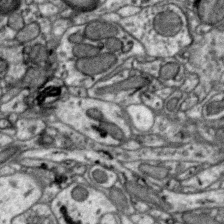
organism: Zebra finch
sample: Brain